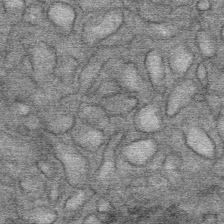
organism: Mouse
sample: Mouse Salivary gland